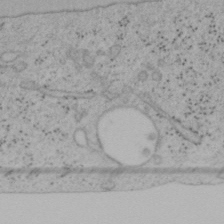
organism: Human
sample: HeLa cells